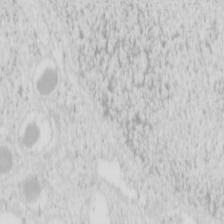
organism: Mouse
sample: Pancreas